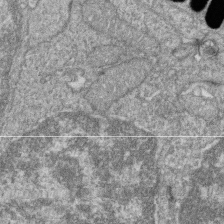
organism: Zebrafish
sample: Cilia; retinal pigment epithelium